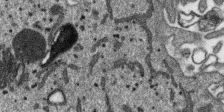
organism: Human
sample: Lung epithelial cells infected with SARS-CoV-2